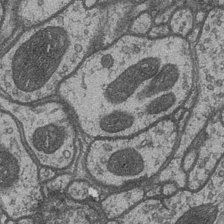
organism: Drosophila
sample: Optic medulla